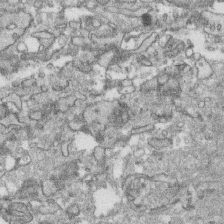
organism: Human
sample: CRL-1474